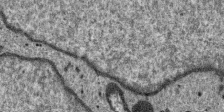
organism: Human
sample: Lung epithelial cells, uninfected (mock) control